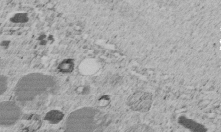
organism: C. elegans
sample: C. elegans embryo early stage